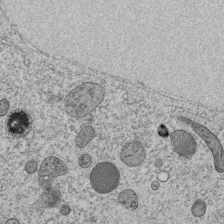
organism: C. elegans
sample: C. elegans embryo early stage